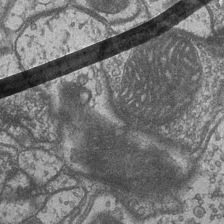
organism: Drosophila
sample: Optic medulla